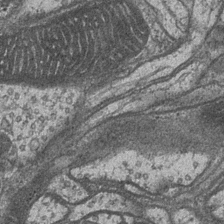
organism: Drosophila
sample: Optic medulla